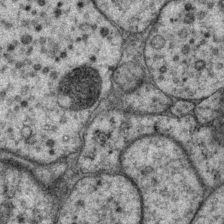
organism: P. pacificus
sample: Pharynx